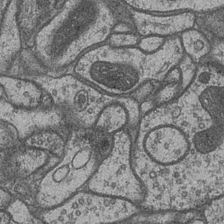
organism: Drosophila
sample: Optic medulla